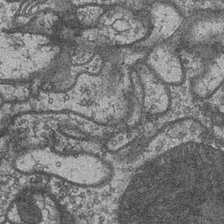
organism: Drosophila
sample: Optic medulla